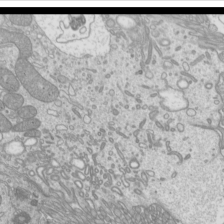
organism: Mouse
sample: Cilia; mouse epididymis